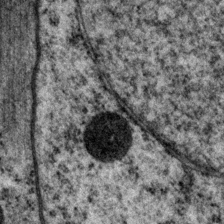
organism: P. pacificus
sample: Pharynx